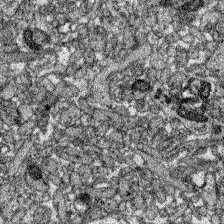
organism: Zebrafish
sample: Larval olfactory bulb